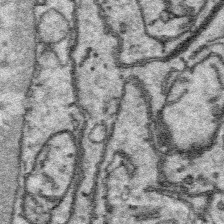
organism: Platynereis dumerilii